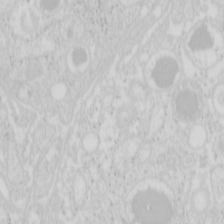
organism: Mouse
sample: Pancreas